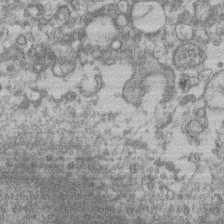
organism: Mouse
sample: T cell stromal cell synapse